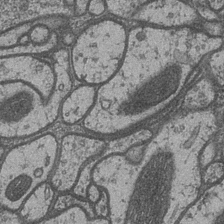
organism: Drosophila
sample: Optic medulla